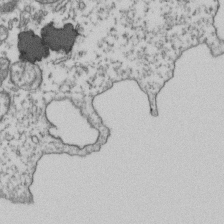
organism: Human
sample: Activated Jurkat CD4+ T cells